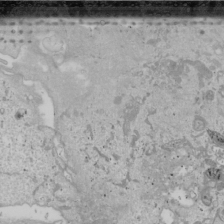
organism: Human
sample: Mitochondria in U2OS cells